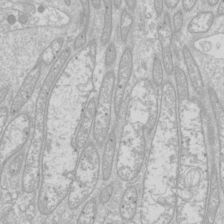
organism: Drosophila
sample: Cell division; meiosis; drosophila spermatocytes